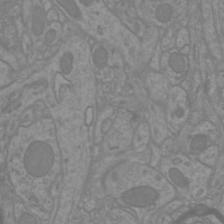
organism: Mouse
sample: Cortical neurons